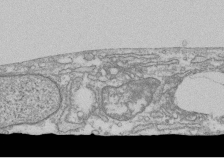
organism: Human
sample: Fibroblast cells